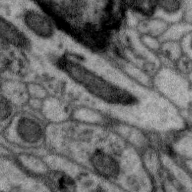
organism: Zebra finch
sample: Brain